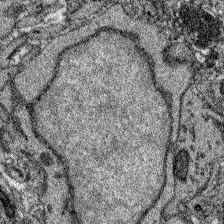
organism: Zebrafish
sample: Larval olfactory bulb